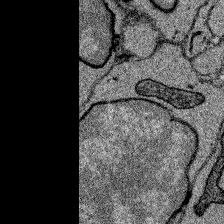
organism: Zebrafish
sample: Larval olfactory bulb